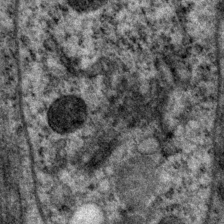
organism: P. pacificus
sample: Pharynx